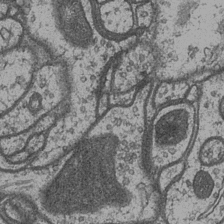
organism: Drosophila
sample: Optic medulla